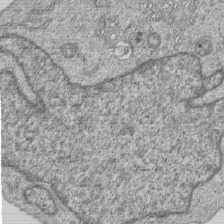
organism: Human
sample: MDA-MB-231 cells